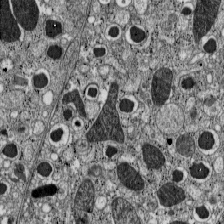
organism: C57BL Mouse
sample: Pancreatic islet